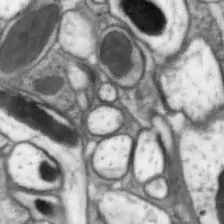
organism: Drosophila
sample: Optic lobe